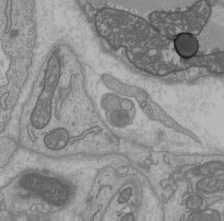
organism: C57BL Mouse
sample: Heart